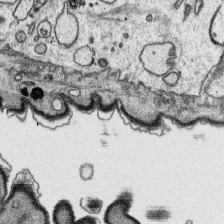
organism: Platynereis dumerilii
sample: Parapodia